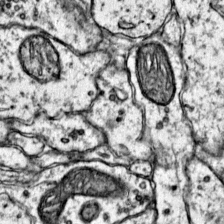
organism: Mouse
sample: Primary visual cortex